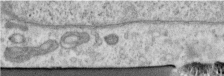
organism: Human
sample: Centriole in RPE cells